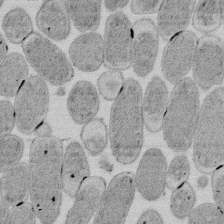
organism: E. coli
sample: Bacterial nucleoid